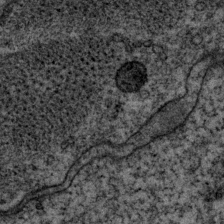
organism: P. pacificus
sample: Pharynx